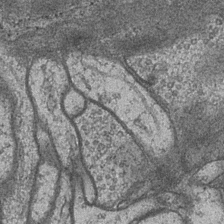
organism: Drosophila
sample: Optic medulla